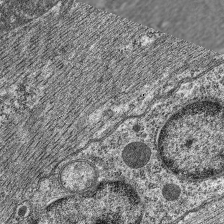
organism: C. elegans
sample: Pharynx